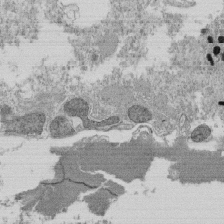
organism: Tetrahymena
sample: Cilia in tetrahymena